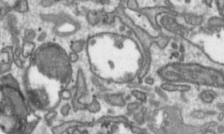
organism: Toxoplasma gondii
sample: Parasites in a vacuole inside a host cell